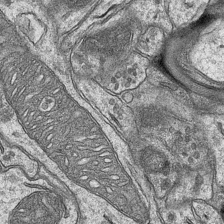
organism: Mouse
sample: CA1 Hippocampus